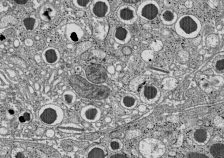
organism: C57BL Mouse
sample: Pancreatic islet